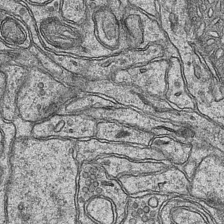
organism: Mouse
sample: CA1 Hippocampus